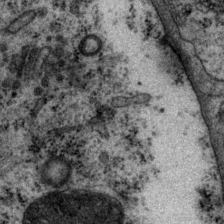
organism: P. pacificus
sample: Pharynx